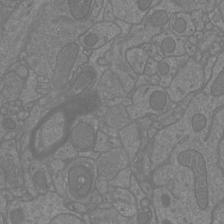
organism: Mouse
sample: Cortical neurons